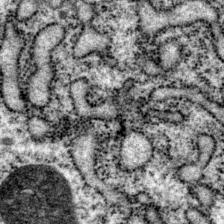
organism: P. pacificus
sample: Pharynx